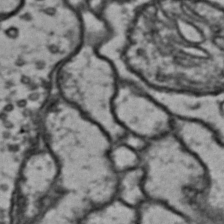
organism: Drosophila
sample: Brain